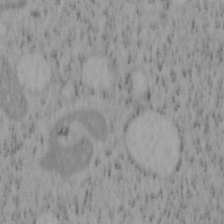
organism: Mouse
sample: OT-I killer T cells with ID8 ovarian cancer cells